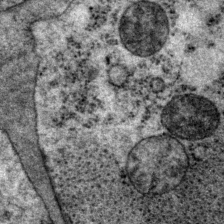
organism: P. pacificus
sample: Pharynx